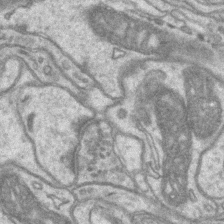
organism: Mouse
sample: CA1 Hippocampus